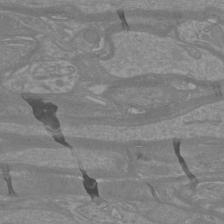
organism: Mouse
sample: Cortical neurons